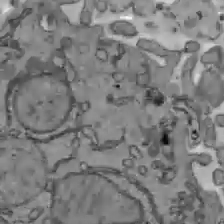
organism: C57BL Mouse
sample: Liver